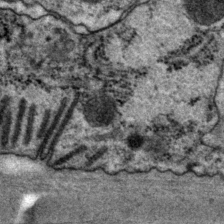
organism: P. pacificus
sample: Pharynx